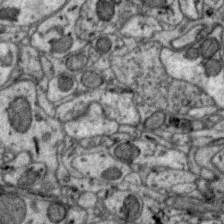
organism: Zebra finch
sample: Brain